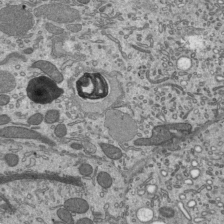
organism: Mouse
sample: Mouse epididymis efferent ductule cilia